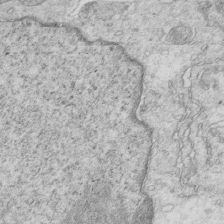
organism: Mouse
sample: Multiciliated cells